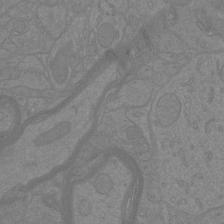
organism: Mouse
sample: Cortical neurons